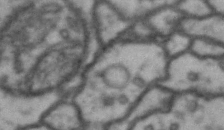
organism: Drosophila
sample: Brain